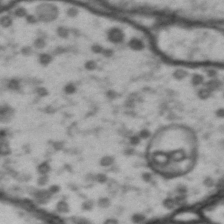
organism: Drosophila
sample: Brain